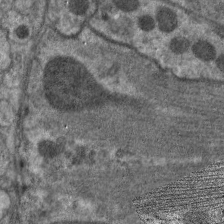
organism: C. elegans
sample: Pharynx